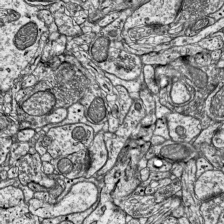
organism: Mouse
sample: Visual Cortex